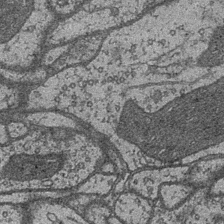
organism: Drosophila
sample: Optic medulla